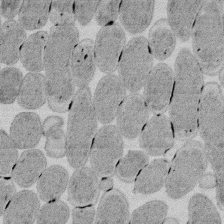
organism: E. coli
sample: Bacterial nucleoid